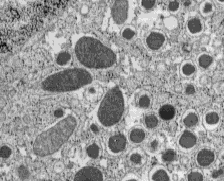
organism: C57BL Mouse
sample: Pancreatic islet